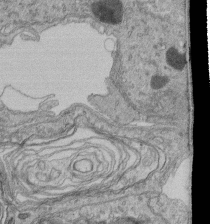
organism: Human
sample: Retinal organoid Rod and Cone cells